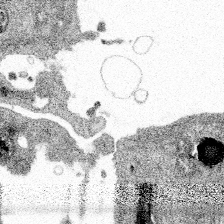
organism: Spongilla lacustris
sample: Multiple